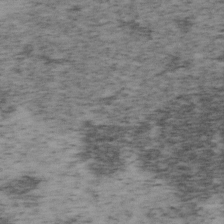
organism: Mouse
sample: OT-I killer T cells with ID8 ovarian cancer cells